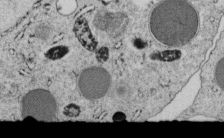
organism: C. elegans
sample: C. elegans embryo early stage